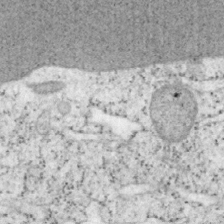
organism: Mouse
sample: OT-I killer T cells with ID8 ovarian cancer cells